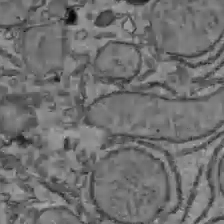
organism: C57BL Mouse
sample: Liver